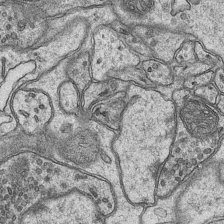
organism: Mouse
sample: CA1 Hippocampus